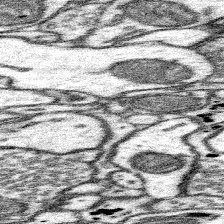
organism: Mouse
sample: Somatosensory cortex neuropil